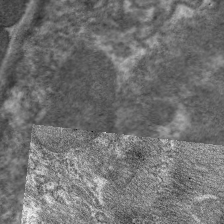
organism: C. elegans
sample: Pharynx